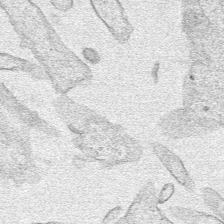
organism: Human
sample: Mitochondria in HCT116 cells